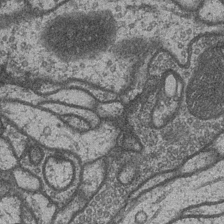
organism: Drosophila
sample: Optic medulla